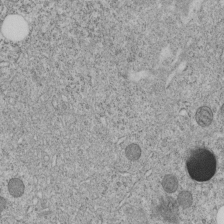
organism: C. elegans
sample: C. elegans embryo early stage